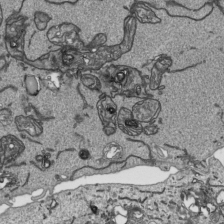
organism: Human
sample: Mitochondria in HCT116 cells